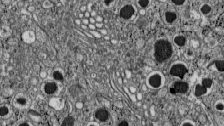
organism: C57BL Mouse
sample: Pancreatic islet